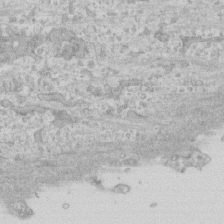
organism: Human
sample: CRL-1474